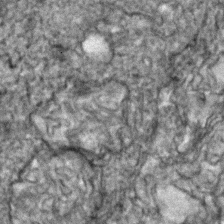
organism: Zebrafish